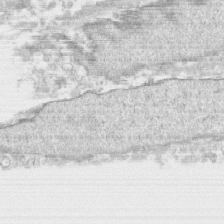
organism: Human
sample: CRL-1474